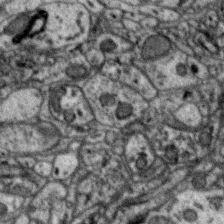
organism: Zebra finch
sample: Brain